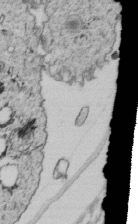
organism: C. elegans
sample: C. elegans embryo early stage